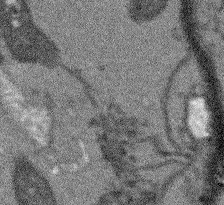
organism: Arabidopsis thaliana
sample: Root tip